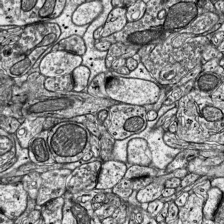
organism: Mouse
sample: Visual Cortex